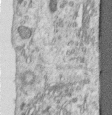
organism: Human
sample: Centriole in RPE cells